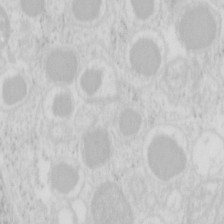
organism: Mouse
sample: Pancreas